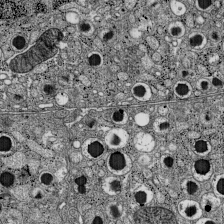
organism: C57BL Mouse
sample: Pancreatic islet